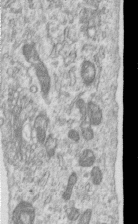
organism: Human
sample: Centriole in RPE cells